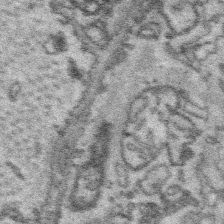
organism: Platynereis dumerilii